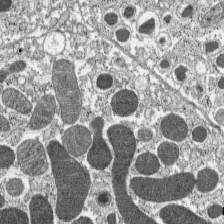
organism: C57BL Mouse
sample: Pancreatic islet